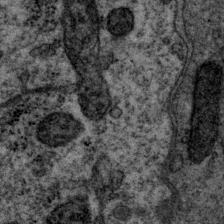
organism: P. pacificus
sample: Pharynx